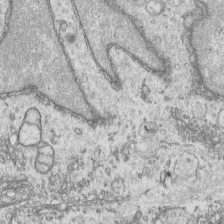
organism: Human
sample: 1205lu cells